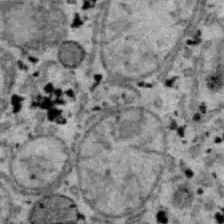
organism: Mouse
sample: Liver from an obese (ob/ob) mouse